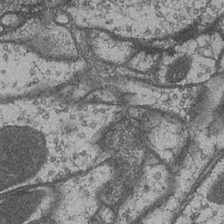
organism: Drosophila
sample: Optic medulla